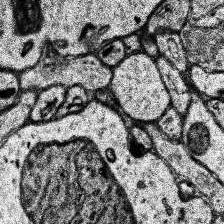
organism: Human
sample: Temporal Lobe